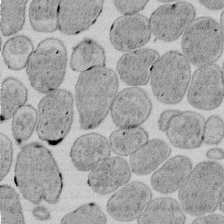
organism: E. coli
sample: Bacterial nucleoid